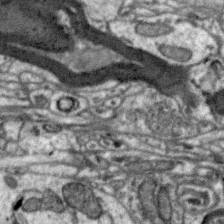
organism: Zebra finch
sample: Brain